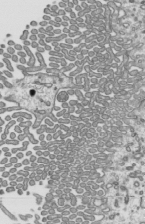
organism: Mouse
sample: Mouse epididymis efferent ductule cilia